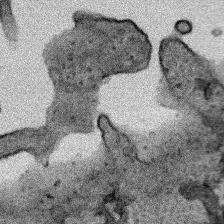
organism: Human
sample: Mitochondria in HCT116 cells